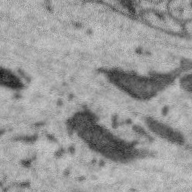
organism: Zebra finch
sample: Brain